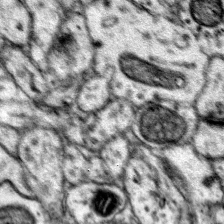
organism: Mouse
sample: Primary visual cortex